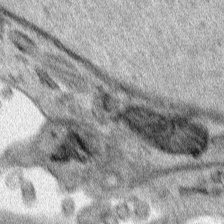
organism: Human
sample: Mitochondria in HCT116 cells